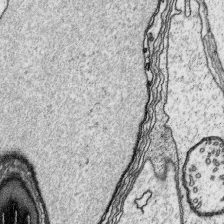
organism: Platynereis dumerilii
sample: Parapodia